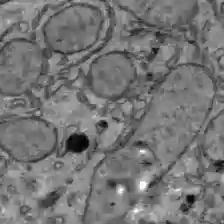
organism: C57BL Mouse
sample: Liver